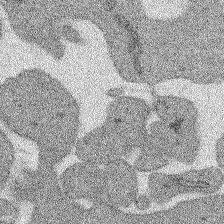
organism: Human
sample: HeLa cells